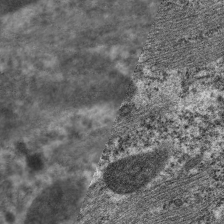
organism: C. elegans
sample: Pharynx